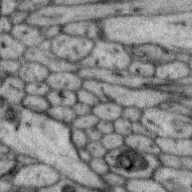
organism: Zebra finch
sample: Brain